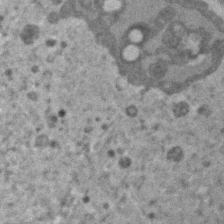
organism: Human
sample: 1205lu cells